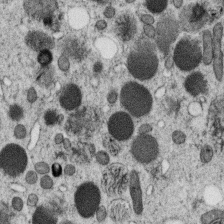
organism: C. elegans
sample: C. elegans oocyte; sperm cells